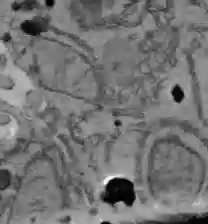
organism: C57BL Mouse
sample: Liver